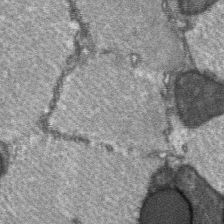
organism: C57BL Mouse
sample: Soleus